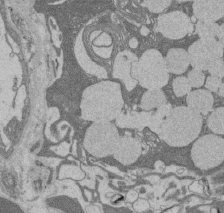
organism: Rat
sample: Salivary granule